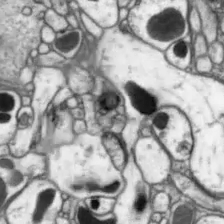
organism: Drosophila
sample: Optic lobe